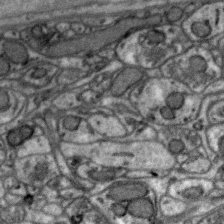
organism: Zebra finch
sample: Brain